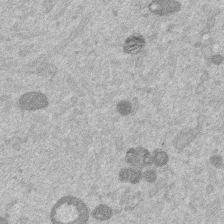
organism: Mouse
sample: Dividing mouse embryo 1 cell stage